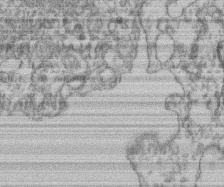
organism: Mouse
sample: T cell stromal cell synapse